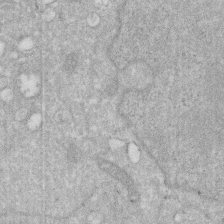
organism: Human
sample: HIV infected U937 cells